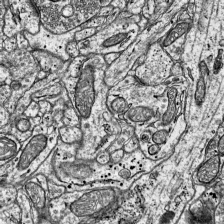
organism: Mouse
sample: Visual Cortex